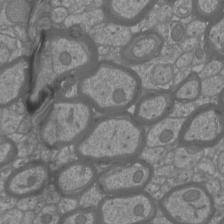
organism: Mouse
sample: Cortical neurons